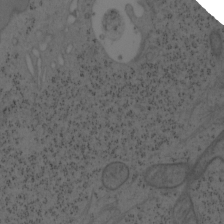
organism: Mouse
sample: OT-I killer T cells with ID8 ovarian cancer cells